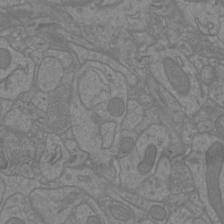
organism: Mouse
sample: Cortical neurons